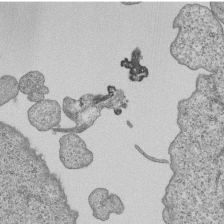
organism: Human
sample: MDA-MB-231 cells